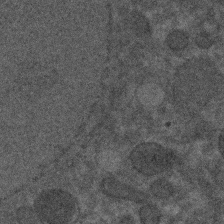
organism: C. elegans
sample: C. elegans embryo